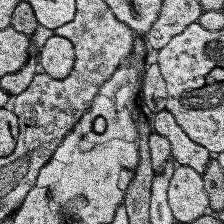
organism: Human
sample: Temporal Lobe